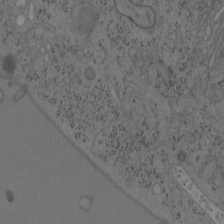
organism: Mouse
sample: OT-I killer T cells with ID8 ovarian cancer cells